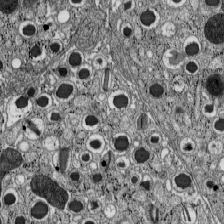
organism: C57BL Mouse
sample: Pancreatic islet